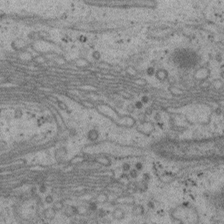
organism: Human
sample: HeLa cells